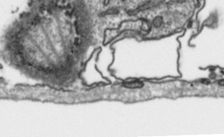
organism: Toxoplasma gondii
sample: Parasites in a vacuole inside a host cell